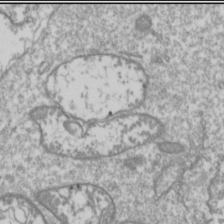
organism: Drosophila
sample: Cell division; meiosis; drosophila spermatocytes